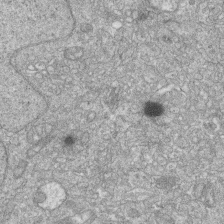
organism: Human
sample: HeLa cell HIV synapse